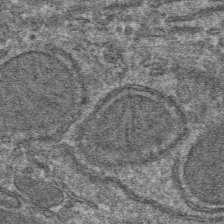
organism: Mouse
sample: Mouse hepatocytes